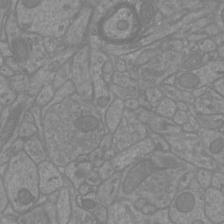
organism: Mouse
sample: Cortical neurons